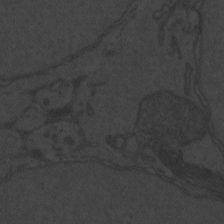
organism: Zebrafish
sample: Macrophage infected with Toxoplasma gondii